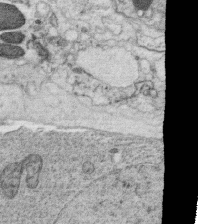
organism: C. elegans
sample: C. elegans oocyte; sperm cells